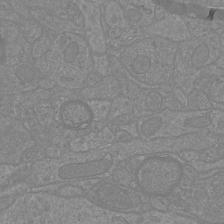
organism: Mouse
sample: Cortical neurons